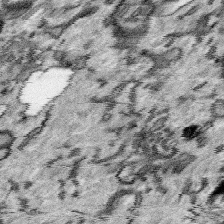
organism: Human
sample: HeLa cells